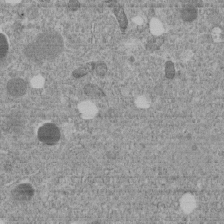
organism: C. elegans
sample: C. elegans embryo early stage